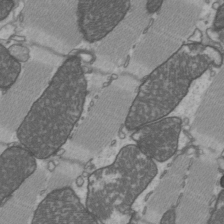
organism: C57BL Mouse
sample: Heart